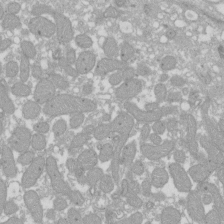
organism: Xenopus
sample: Cilia; centrioles in frog embryo cells